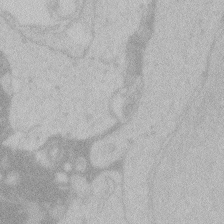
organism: Zebrafish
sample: Macrophage infected with Toxoplasma gondii